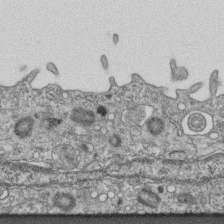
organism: Mouse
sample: Centriole in ependymal cells